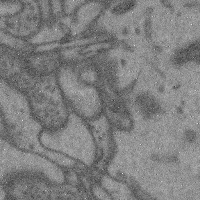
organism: Mouse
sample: Cerebral cortex